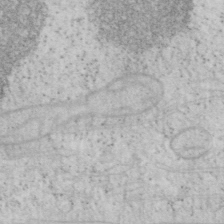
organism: Human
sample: HeLa cells